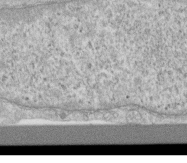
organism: Human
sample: Centriole in RPE cells